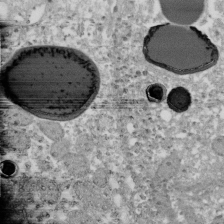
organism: Xenopus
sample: Cilia; centrioles in frog embryo cells